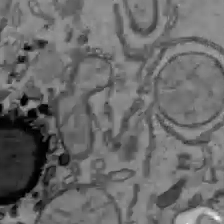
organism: C57BL Mouse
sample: Liver